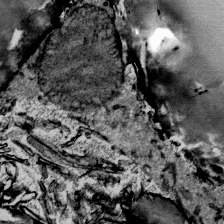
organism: Mouse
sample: Mouse Salivary gland